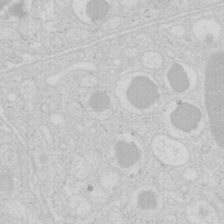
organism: Mouse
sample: Pancreas